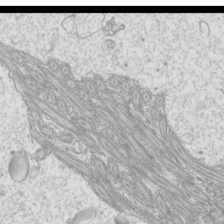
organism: Mouse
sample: Cilia; mouse epididymis